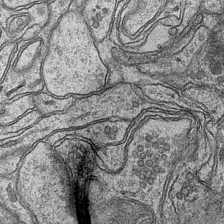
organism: Mouse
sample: CA1 Hippocampus